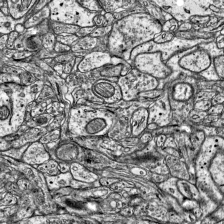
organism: Mouse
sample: Visual Cortex